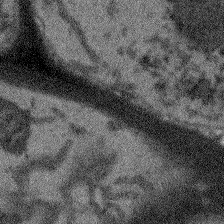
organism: Arabidopsis thaliana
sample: Root tip